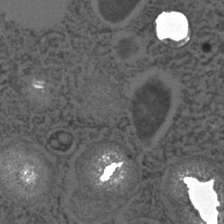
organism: C. elegans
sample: C. elegans embryo